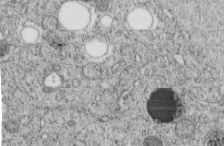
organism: C. elegans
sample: C. elegans embryo early stage